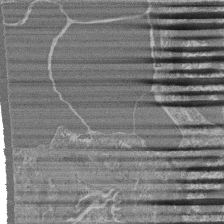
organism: Mouse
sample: Glomerulus